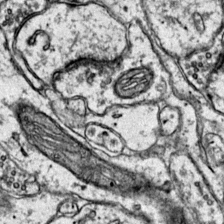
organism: Mouse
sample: Primary visual cortex